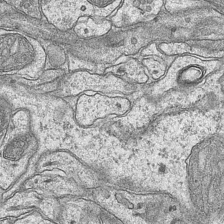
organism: Mouse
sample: CA1 Hippocampus